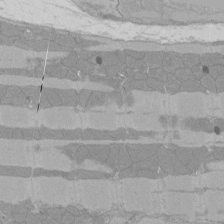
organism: Rat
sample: Left ventricle